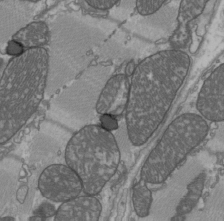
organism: C57BL Mouse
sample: Heart